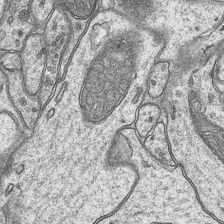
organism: Mouse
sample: CA1 Hippocampus